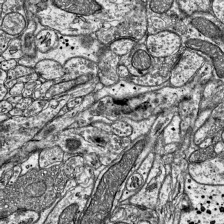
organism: Mouse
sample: Visual Cortex